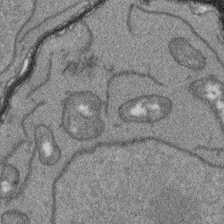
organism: Arabidopsis thaliana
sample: Root tip